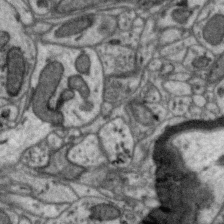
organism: Zebra finch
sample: Brain